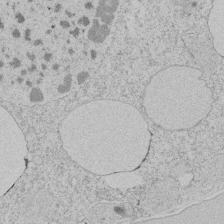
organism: Tetrahymena